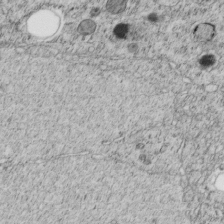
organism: C. elegans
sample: C. elegans embryo early stage